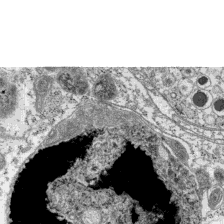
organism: C57BL Mouse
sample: Pancreatic islet